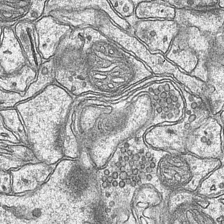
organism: Mouse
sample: CA1 Hippocampus